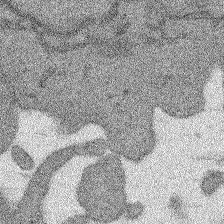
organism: Human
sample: HeLa cells